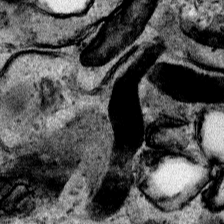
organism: Human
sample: Mitochondria in HCT116 cells